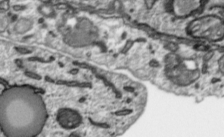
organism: Toxoplasma gondii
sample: Parasites in a vacuole inside a host cell